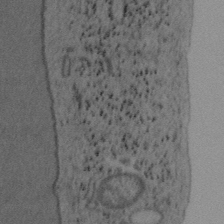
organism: Human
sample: HeLa cells